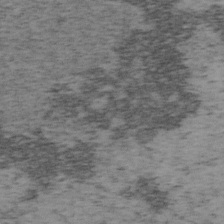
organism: Mouse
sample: OT-I killer T cells with ID8 ovarian cancer cells